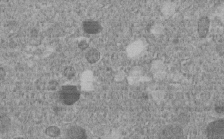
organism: C. elegans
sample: C. elegans embryo early stage